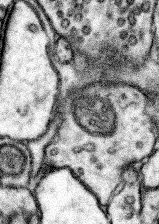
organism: Mouse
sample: Somatosensory cortex neuropil